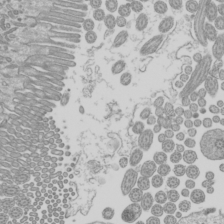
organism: Mouse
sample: Cilia; mouse epididymis